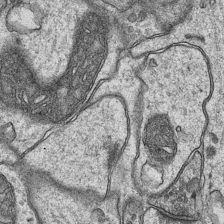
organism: Mouse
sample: CA1 Hippocampus